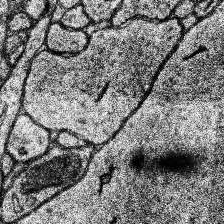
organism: Human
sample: Temporal Lobe